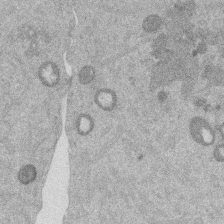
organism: Mouse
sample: Dividing mouse embryo 1 cell stage